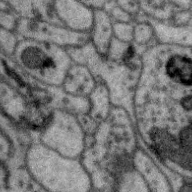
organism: Zebra finch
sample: Brain